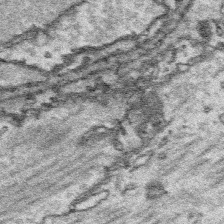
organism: Platynereis dumerilii